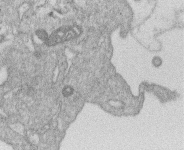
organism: Human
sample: Macrophage cells